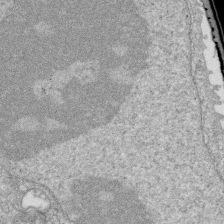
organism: Human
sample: HeLa cell HIV synapse